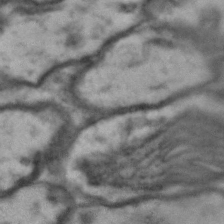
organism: Drosophila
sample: Brain